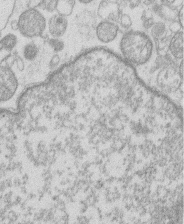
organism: Human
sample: Macrophage cells